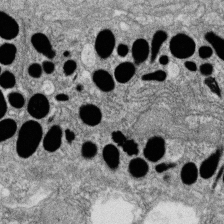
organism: Zebrafish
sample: Cilia; retinal pigment epithelium